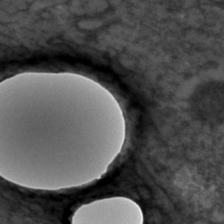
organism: C. elegans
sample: C. elegans embryo